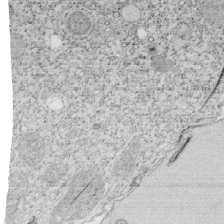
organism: Tetrahymena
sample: Cilia in tetrahymena